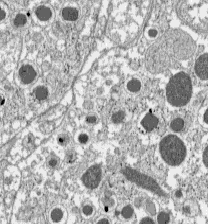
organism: C57BL Mouse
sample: Pancreatic islet